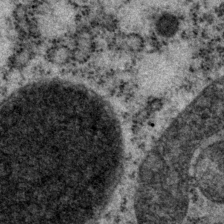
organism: P. pacificus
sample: Pharynx